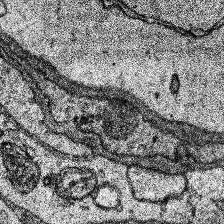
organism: Human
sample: Temporal Lobe